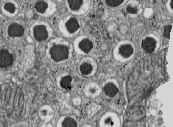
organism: C57BL Mouse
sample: Pancreatic islet